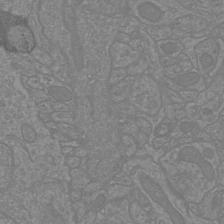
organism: Mouse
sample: Cortical neurons